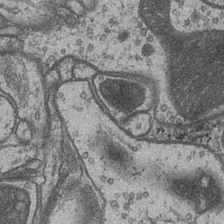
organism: Drosophila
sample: Optic medulla